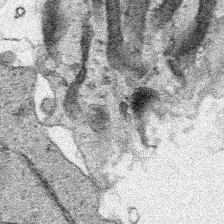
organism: Human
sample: Mitochondria in HCT116 cells